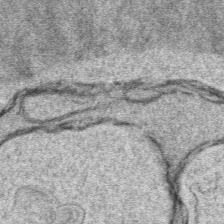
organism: Mouse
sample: Mouse hepatocytes